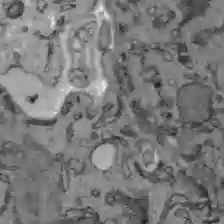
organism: C57BL Mouse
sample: Liver